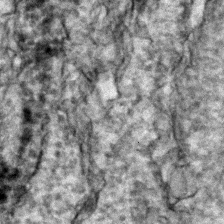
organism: Zebrafish